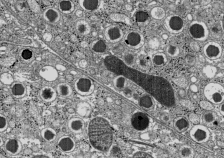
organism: C57BL Mouse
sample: Pancreatic islet